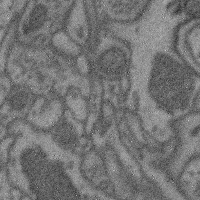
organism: Mouse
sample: Cerebral cortex